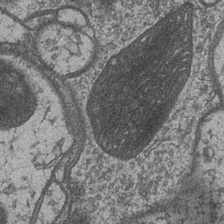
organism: Drosophila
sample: Optic medulla